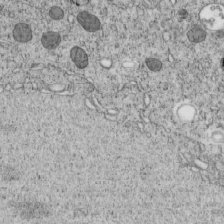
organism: C. elegans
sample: C. elegans embryo early stage